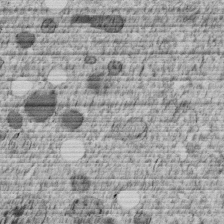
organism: C. elegans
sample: C. elegans embryo early stage